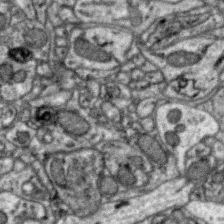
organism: Zebra finch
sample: Brain